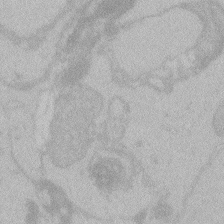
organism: Zebrafish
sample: Macrophage infected with Toxoplasma gondii